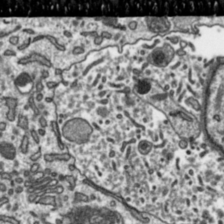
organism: Toxoplasma gondii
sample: Parasites in a vacuole inside a host cell